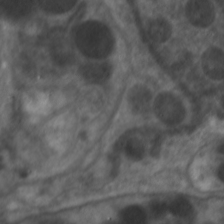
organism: C. elegans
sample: Pharynx